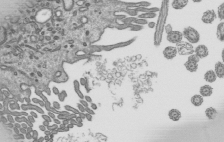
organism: Mouse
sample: Mouse epididymis efferent ductule cilia